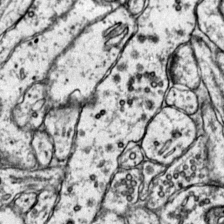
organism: Mouse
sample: Primary visual cortex